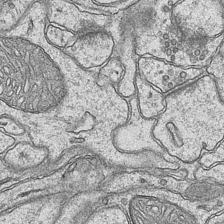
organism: Mouse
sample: CA1 Hippocampus